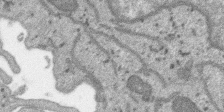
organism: Human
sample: Lung epithelial cells infected with SARS-CoV-2